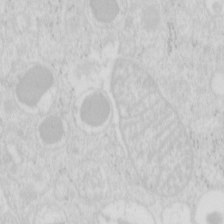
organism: Mouse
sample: Pancreas